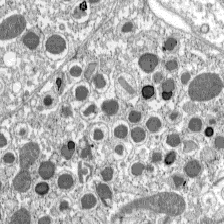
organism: C57BL Mouse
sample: Pancreatic islet